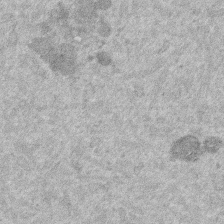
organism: Mouse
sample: Dividing mouse embryo 1 cell stage